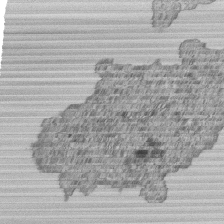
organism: Human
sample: MDA-MB-231 cells